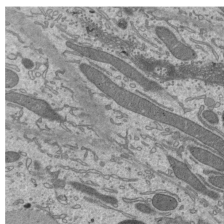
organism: Mouse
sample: Mouse epididymis efferent ductule cilia